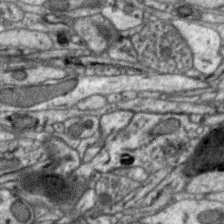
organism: Zebra finch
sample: Brain